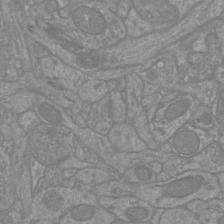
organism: Mouse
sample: Cortical neurons